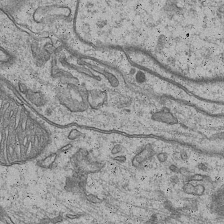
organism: Mouse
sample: CA1 Hippocampus